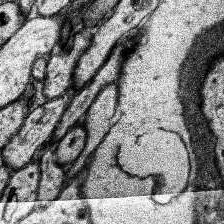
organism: Human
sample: Temporal Lobe